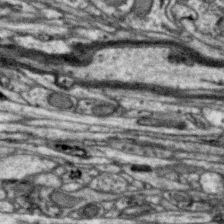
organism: Zebra finch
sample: Brain